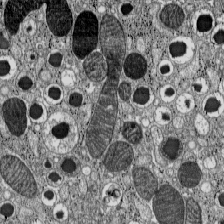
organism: C57BL Mouse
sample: Pancreatic islet